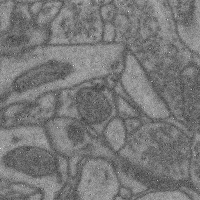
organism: Mouse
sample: Cerebral cortex